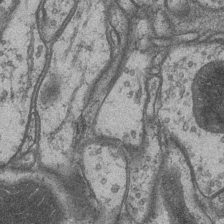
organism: Drosophila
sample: Optic medulla